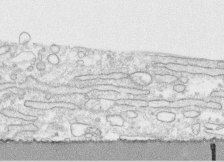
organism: Human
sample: CRL-1474